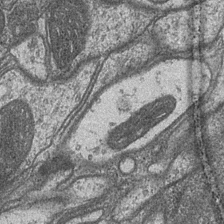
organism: Drosophila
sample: Optic medulla